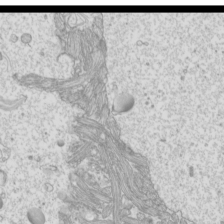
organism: Mouse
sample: Cilia; mouse epididymis